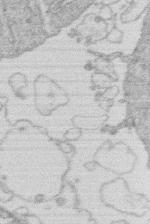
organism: Human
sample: Macrophage cells